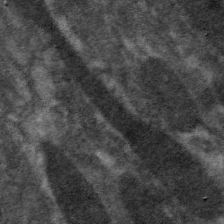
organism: C. elegans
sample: Pharynx